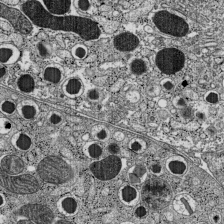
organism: C57BL Mouse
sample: Pancreatic islet